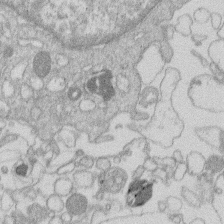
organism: Human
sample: Macrophage cells